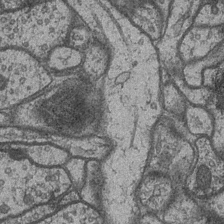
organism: Drosophila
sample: Optic medulla